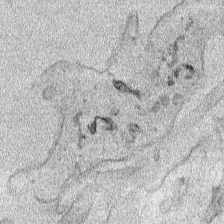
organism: Human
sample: Mitochondria in HCT116 cells